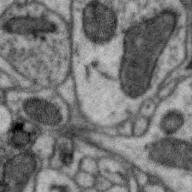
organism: Zebra finch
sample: Brain